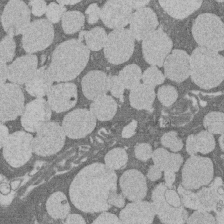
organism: Rat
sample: Salivary granule